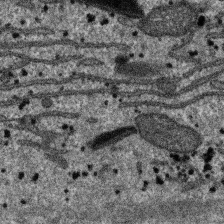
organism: Human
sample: Lung epithelial cells infected with SARS-CoV-2